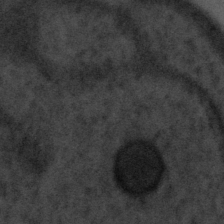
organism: Tuwongella immobilis